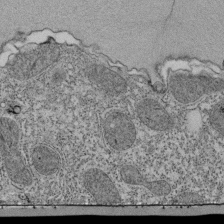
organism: Tetrahymena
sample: Cilia in tetrahymena